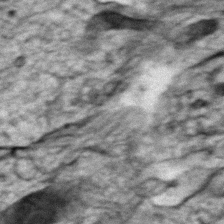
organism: Zebrafish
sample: Zebrafish embryo